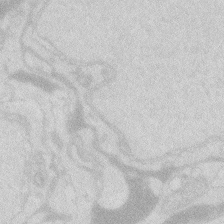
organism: Zebrafish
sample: Macrophage